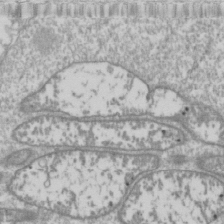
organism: Drosophila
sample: Cell division; meiosis; drosophila spermatocytes